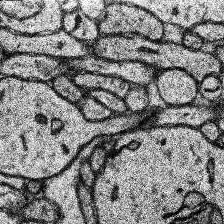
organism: Human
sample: Temporal Lobe